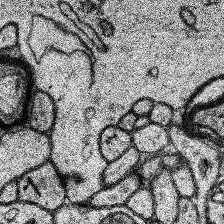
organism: Human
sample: Temporal Lobe